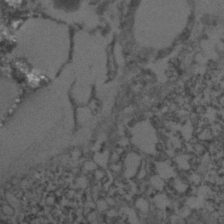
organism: C. elegans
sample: C. elegans embryo